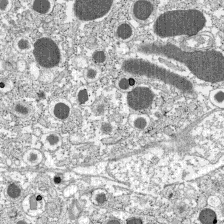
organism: C57BL Mouse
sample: Pancreatic islet